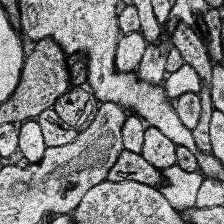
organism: Human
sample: Temporal Lobe